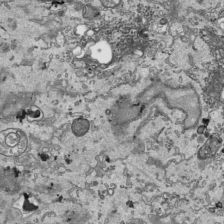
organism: Human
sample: Mitochondria in HCT116 cells